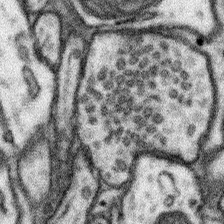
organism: Mouse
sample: Somatosensory cortex neuropil